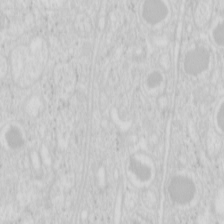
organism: Mouse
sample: Pancreas